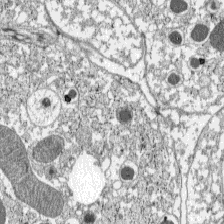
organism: C57BL Mouse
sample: Pancreatic islet